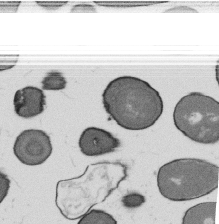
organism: B. subtilis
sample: Bacterial spore